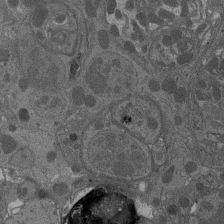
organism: Drosophila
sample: Antenna